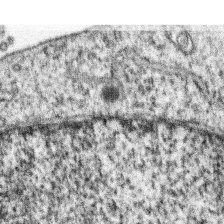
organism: Human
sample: HeLa cells